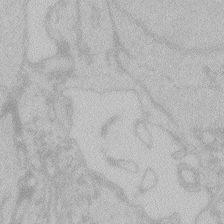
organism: Zebrafish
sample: Macrophage infected with Toxoplasma gondii